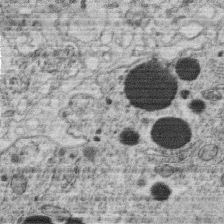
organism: C. elegans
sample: C. elegans oocyte; sperm cells